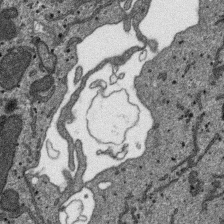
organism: Human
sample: Lung epithelial cells infected with SARS-CoV-2